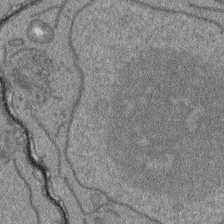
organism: Arabidopsis thaliana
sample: Root tip